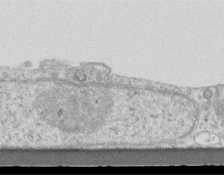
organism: Mouse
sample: Centriole in ependymal cells